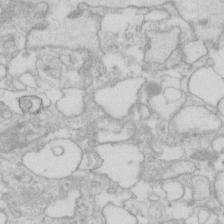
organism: Human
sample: Fibroblast cells